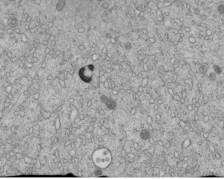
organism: C. elegans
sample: C. elegans embryo early stage